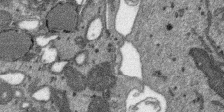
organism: Human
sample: Lung epithelial cells infected with SARS-CoV-2